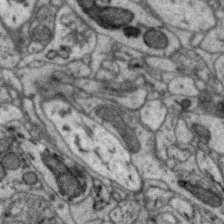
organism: Zebra finch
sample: Brain